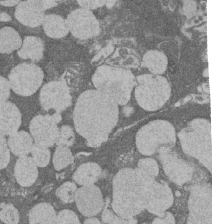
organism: Rat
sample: Salivary granule